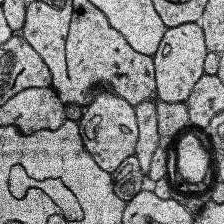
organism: Human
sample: Temporal Lobe